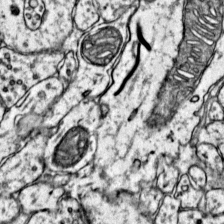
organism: Mouse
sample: Primary visual cortex